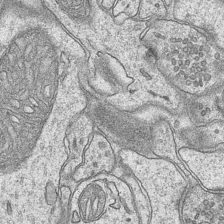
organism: Mouse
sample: CA1 Hippocampus